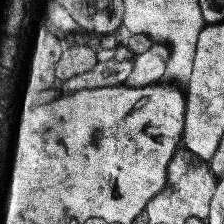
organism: Human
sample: Temporal Lobe